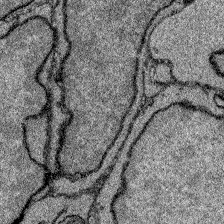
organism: Zebrafish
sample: Larval olfactory bulb